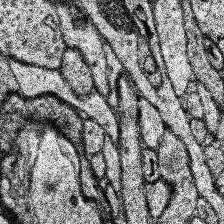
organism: Human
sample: Temporal Lobe